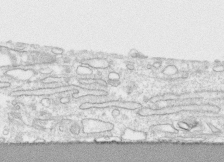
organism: Human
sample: CRL-1474